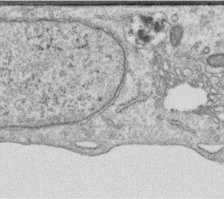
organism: Human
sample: Centriole in RPE cells